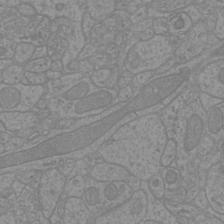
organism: Mouse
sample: Cortical neurons